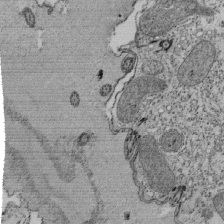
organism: Tetrahymena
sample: Cilia in tetrahymena